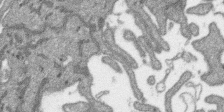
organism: Human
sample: Lung epithelial cells infected with SARS-CoV-2